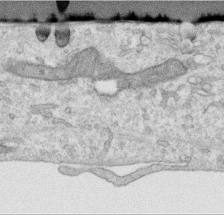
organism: Human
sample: Centriole in RPE cells